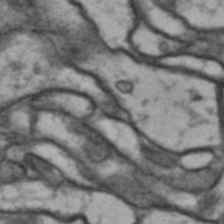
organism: Drosophila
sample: Brain